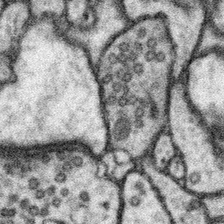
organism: Mouse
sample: Somatosensory cortex neuropil